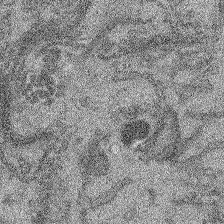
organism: Human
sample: HeLa cells